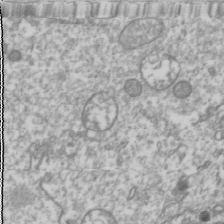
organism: Drosophila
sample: Cell division; meiosis; drosophila spermatocytes